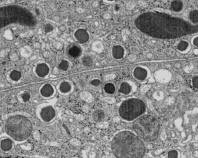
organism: C57BL Mouse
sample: Pancreatic islet